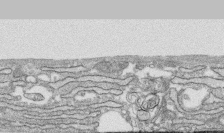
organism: Human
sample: CRL-1474